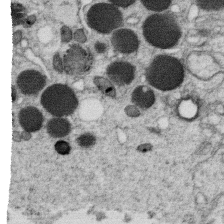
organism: C. elegans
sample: C. elegans oocyte; sperm cells